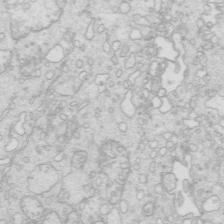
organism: Mouse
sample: Multiciliated cells